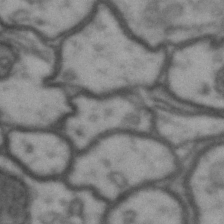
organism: Drosophila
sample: Brain